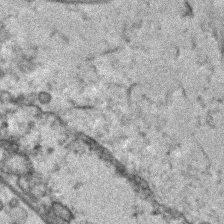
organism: Human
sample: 1205lu cells